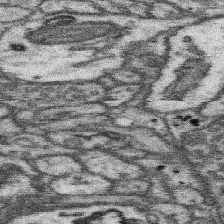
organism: Mouse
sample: Somatosensory cortex neuropil